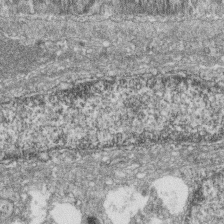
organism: Zebrafish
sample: Cilia; retinal pigment epithelium